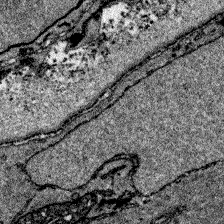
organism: Zebrafish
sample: Larval olfactory bulb